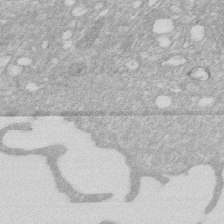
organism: Human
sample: HIV infected U937 cells